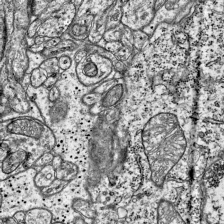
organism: Mouse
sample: Visual Cortex